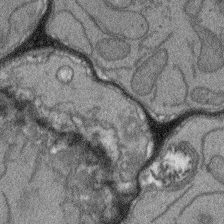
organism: Arabidopsis thaliana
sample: Root tip